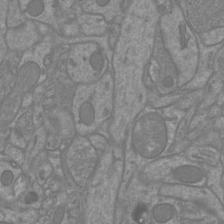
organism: Mouse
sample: Cortical neurons